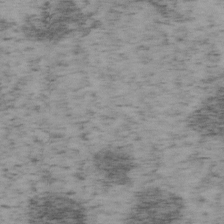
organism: Mouse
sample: OT-I killer T cells with ID8 ovarian cancer cells